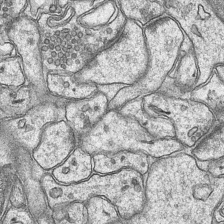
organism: Mouse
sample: CA1 Hippocampus